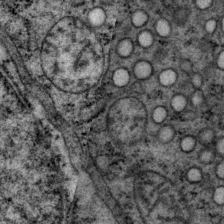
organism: P. pacificus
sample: Pharynx